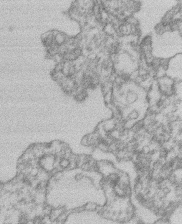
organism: Mouse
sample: T cell stromal cell synapse